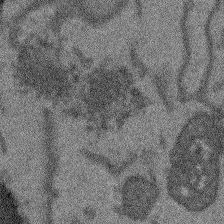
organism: Arabidopsis thaliana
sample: Root tip